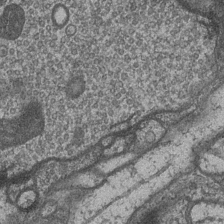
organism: Drosophila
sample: Optic medulla